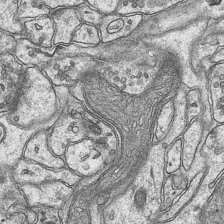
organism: Mouse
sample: CA1 Hippocampus